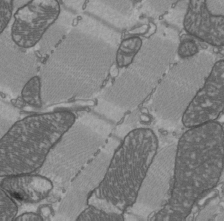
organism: C57BL Mouse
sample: Heart